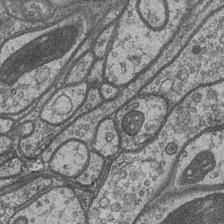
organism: Drosophila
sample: Optic medulla